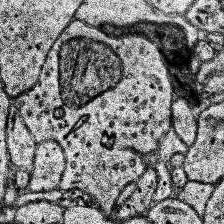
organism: Human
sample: Temporal Lobe